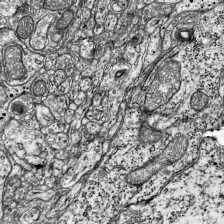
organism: Mouse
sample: Visual Cortex